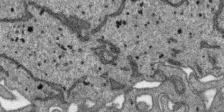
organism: Human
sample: Lung epithelial cells, uninfected (mock) control